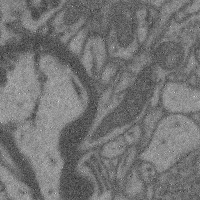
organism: Mouse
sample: Cerebral cortex